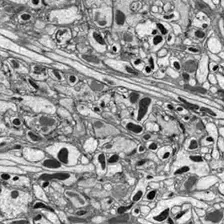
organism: Drosophila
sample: Optic lobe